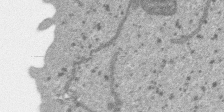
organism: Human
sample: Lung epithelial cells infected with SARS-CoV-2